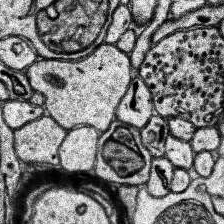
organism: Human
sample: Temporal Lobe